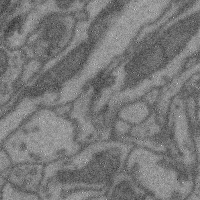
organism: Mouse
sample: Cerebral cortex